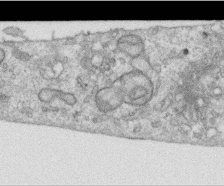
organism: Human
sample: Centriole in RPE cells